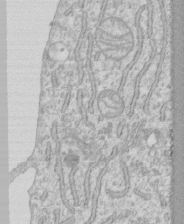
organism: Human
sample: CRL-1474